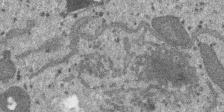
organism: Human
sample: Lung epithelial cells infected with SARS-CoV-2